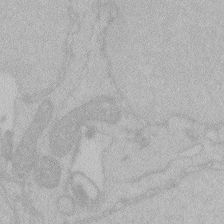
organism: Zebrafish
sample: Macrophage infected with Toxoplasma gondii